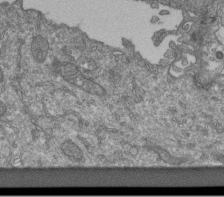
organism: Human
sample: Retinal organoid Rod and Cone cells